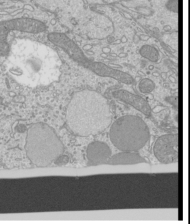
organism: Mouse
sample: Cilia; mouse epididymis